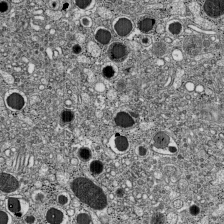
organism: C57BL Mouse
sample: Pancreatic islet